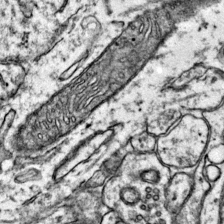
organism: Mouse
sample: Primary visual cortex